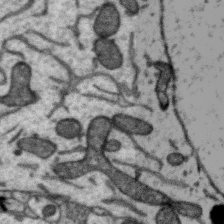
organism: Zebra finch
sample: Brain